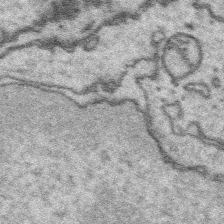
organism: Platynereis dumerilii